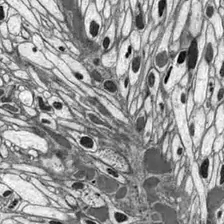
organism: Drosophila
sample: Optic lobe